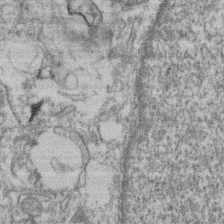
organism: Mouse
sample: T cell stromal cell synapse